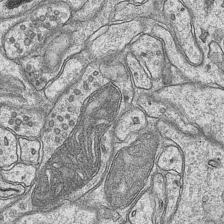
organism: Mouse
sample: CA1 Hippocampus